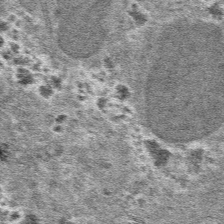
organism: Mouse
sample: Mouse hepatocytes